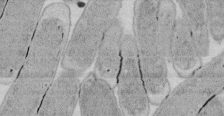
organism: E. coli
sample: Bacterial nucleoid